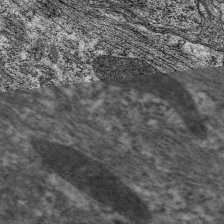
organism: C. elegans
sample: Pharynx